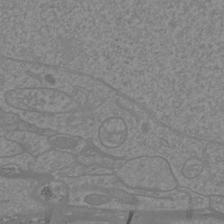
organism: Mouse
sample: Cortical neurons